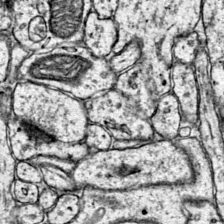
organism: Mouse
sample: Primary visual cortex